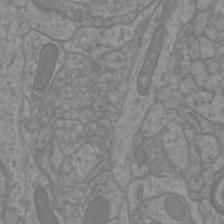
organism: Mouse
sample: Cortical neurons